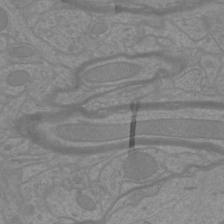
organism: Mouse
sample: Cortical neurons